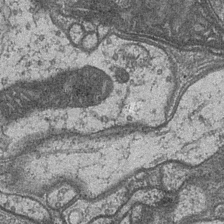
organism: Drosophila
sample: Optic medulla